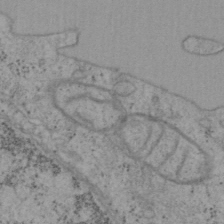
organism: Human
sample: HeLa cells